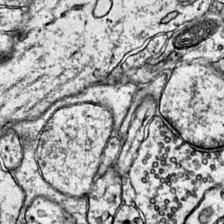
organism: Mouse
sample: Primary visual cortex